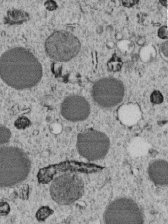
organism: C. elegans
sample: C. elegans embryo early stage